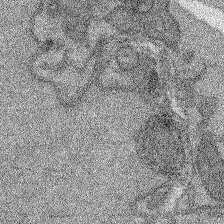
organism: Human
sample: HeLa cells